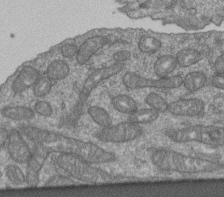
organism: Human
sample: Retinal organoid Rod and Cone cells